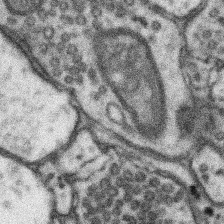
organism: Mouse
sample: Somatosensory cortex neuropil